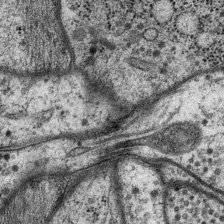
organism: P. pacificus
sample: Pharynx